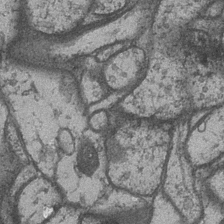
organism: Drosophila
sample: Optic medulla